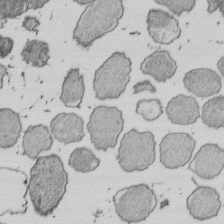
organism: E. coli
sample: Bacterial nucleoid